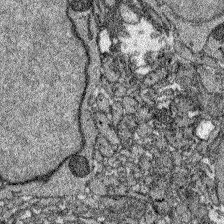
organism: Zebrafish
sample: Larval olfactory bulb